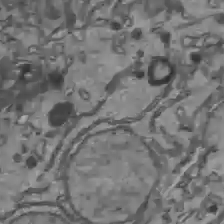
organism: C57BL Mouse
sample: Liver